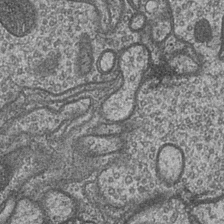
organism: Drosophila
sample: Optic medulla